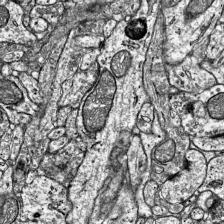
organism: Mouse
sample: Visual Cortex